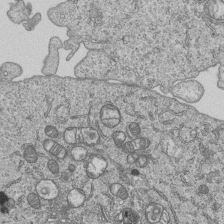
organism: Human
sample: MDA-MB-231 cells